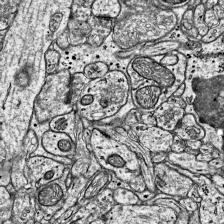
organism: Mouse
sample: Visual Cortex